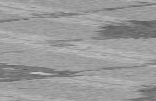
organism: C57BL Mouse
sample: Heart